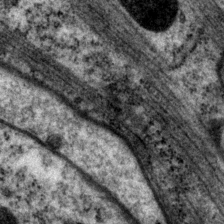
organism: P. pacificus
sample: Pharynx